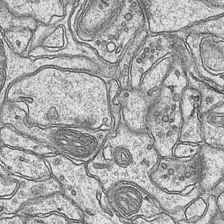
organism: Mouse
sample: CA1 Hippocampus